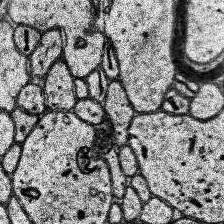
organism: Human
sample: Temporal Lobe